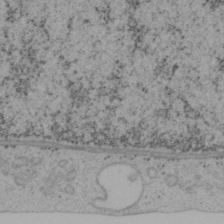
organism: Human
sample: HeLa cells